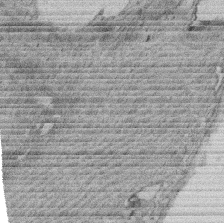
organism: Rat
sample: Salivary granule